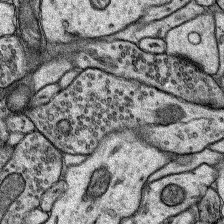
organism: Rat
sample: Hippocampus